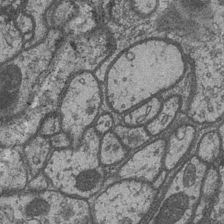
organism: Drosophila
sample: Optic medulla